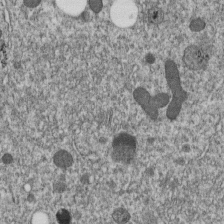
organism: C. elegans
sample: C. elegans embryo early stage